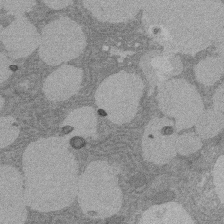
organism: Rat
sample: Salivary granule